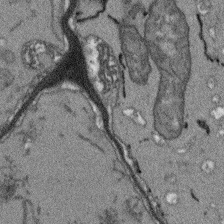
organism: Arabidopsis thaliana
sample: Root tip